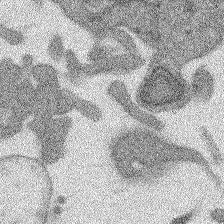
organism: Human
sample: HeLa cells